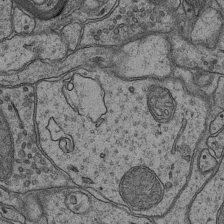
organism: Mouse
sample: CA1 Hippocampus